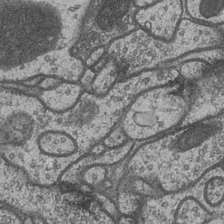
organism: Drosophila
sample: Optic medulla